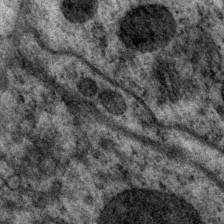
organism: P. pacificus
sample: Pharynx